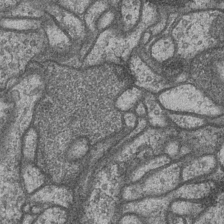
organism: Drosophila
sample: Optic medulla